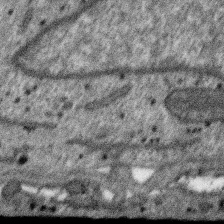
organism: Human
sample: Lung epithelial cells infected with SARS-CoV-2